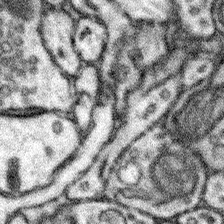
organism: Mouse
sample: Somatosensory cortex neuropil